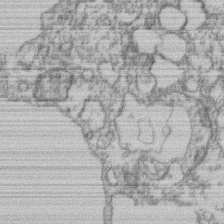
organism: Mouse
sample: T cell stromal cell synapse